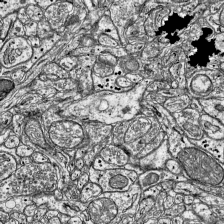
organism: Mouse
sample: Visual Cortex